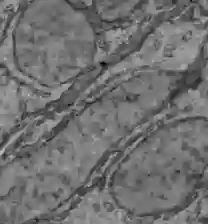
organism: C57BL Mouse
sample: Liver